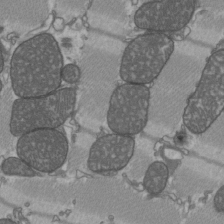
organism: C57BL Mouse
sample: Heart